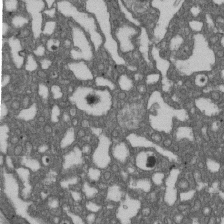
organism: Drosophila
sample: Nephrocyte